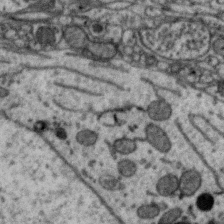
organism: Zebra finch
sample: Brain